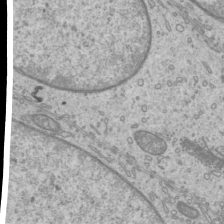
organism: Mouse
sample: Cilia; mouse epididymis